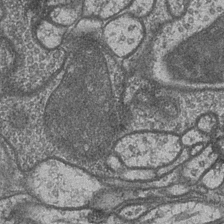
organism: Drosophila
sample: Optic medulla